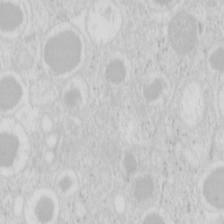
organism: Mouse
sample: Pancreas